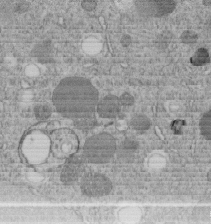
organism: C. elegans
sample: C. elegans embryo early stage